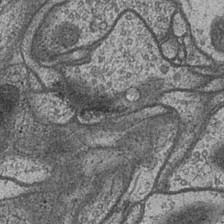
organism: Drosophila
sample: Optic medulla